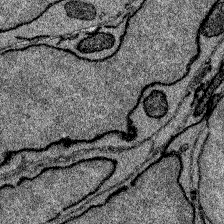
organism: Zebrafish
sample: Larval olfactory bulb